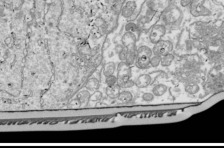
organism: Drosophila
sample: Cell division; meiosis; drosophila spermatocytes